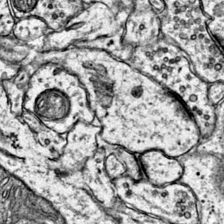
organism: Mouse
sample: Primary visual cortex